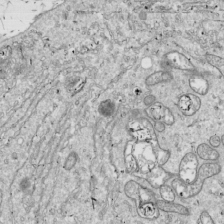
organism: Drosophila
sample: Cell division; meiosis; drosophila spermatocytes